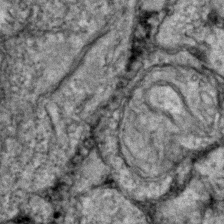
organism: Zebrafish